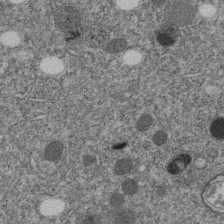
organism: C. elegans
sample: C. elegans embryo early stage